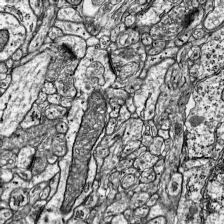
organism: Mouse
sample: Visual Cortex